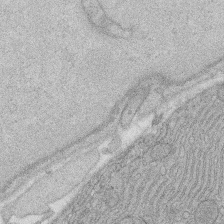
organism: Rat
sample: Salivary granule